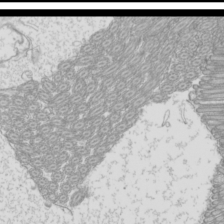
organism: Mouse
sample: Cilia; mouse epididymis